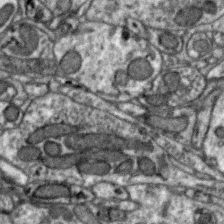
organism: Zebra finch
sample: Brain